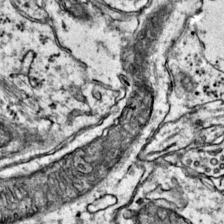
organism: Mouse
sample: Primary visual cortex